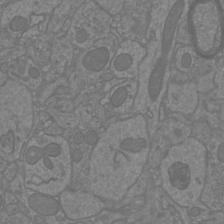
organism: Mouse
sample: Cortical neurons